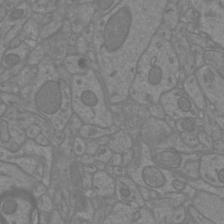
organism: Mouse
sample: Cortical neurons